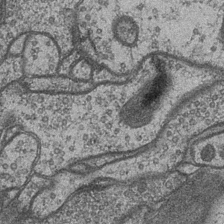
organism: Drosophila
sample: Optic medulla